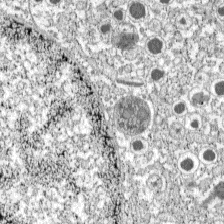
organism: C57BL Mouse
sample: Pancreatic islet